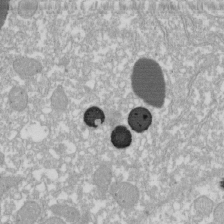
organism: Xenopus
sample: Cilia; centrioles in frog embryo cells